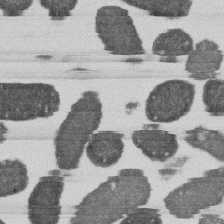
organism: E. coli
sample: Bacterial nucleoid